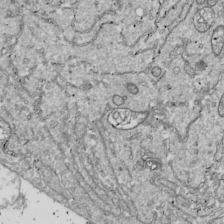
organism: Drosophila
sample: Cell division; meiosis; drosophila spermatocytes